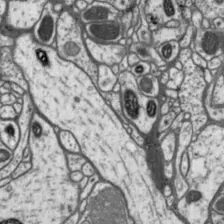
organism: Drosophila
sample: Protocerebral bridge